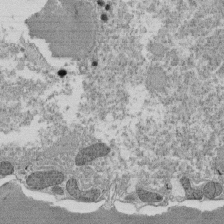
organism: Tetrahymena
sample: Cilia in tetrahymena